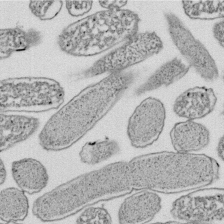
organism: E. coli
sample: Bacterial nucleoid